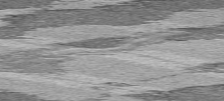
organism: C57BL Mouse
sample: Heart